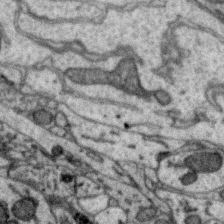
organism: Zebra finch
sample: Brain